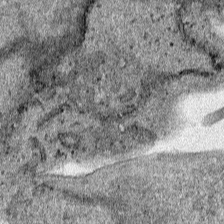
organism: Human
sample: Mitochondria in HCT116 cells